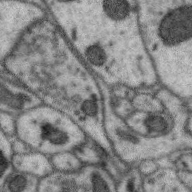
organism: Zebra finch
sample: Brain